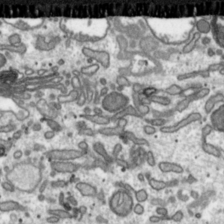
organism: Toxoplasma gondii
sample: Parasites in a vacuole inside a host cell